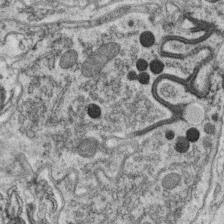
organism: C. elegans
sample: C. elegans oocyte; sperm cells